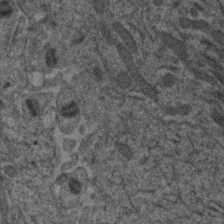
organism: Human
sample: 1205lu cells